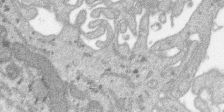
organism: Human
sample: Lung epithelial cells infected with SARS-CoV-2